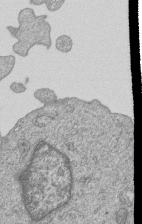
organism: Human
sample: MDA-MB-231 cells